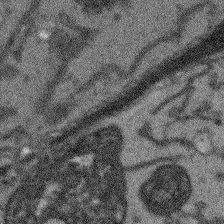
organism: Arabidopsis thaliana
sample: Root tip